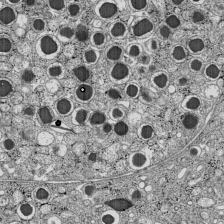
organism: C57BL Mouse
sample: Pancreatic islet